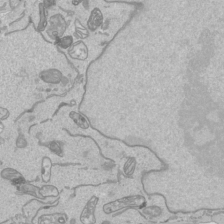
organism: Human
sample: Mitochondria in HCT116 cells